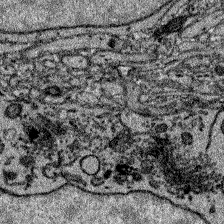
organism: Zebrafish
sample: Larval olfactory bulb